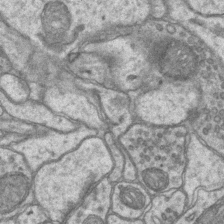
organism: Mouse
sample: CA1 Hippocampus